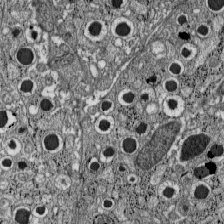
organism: C57BL Mouse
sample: Pancreatic islet